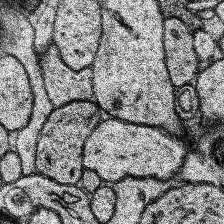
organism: Human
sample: Temporal Lobe